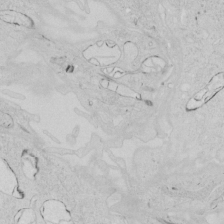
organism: Human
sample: Mitochondria in HCT116 cells